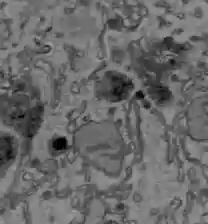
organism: C57BL Mouse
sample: Liver